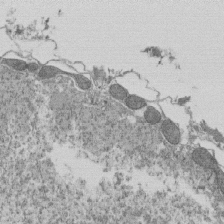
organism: Tetrahymena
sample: Cilia in tetrahymena